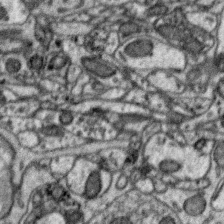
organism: Zebra finch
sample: Brain